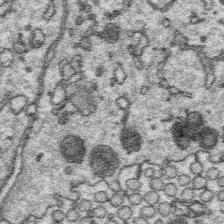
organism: Platynereis dumerilii